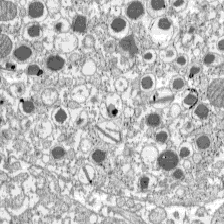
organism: C57BL Mouse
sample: Pancreatic islet